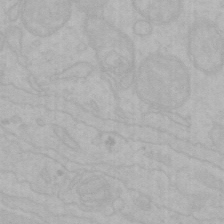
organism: Mouse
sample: Choroid plexus